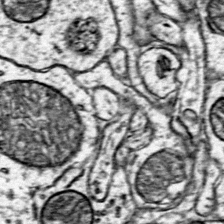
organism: Mouse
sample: Primary visual cortex